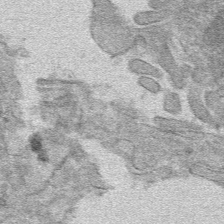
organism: Mouse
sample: Mouse hepatocytes